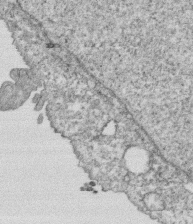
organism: Human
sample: HeLa cell HIV synapse